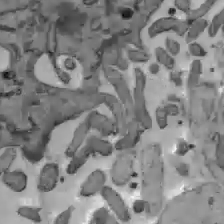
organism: C57BL Mouse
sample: Liver